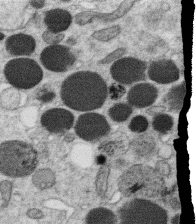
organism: C. elegans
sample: C. elegans oocyte; sperm cells